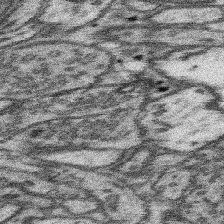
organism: Mouse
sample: Somatosensory cortex neuropil